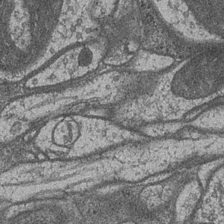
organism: Drosophila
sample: Optic medulla